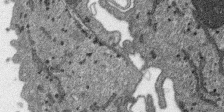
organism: Human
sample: Lung epithelial cells infected with SARS-CoV-2